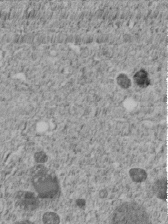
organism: C. elegans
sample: C. elegans embryo early stage